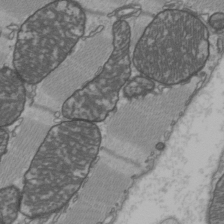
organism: C57BL Mouse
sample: Heart